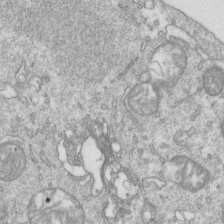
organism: Mouse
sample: Activated OT-1 CD8+ T cells